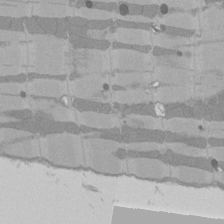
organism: Rat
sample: Left ventricle